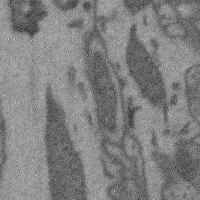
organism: Mouse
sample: Cerebral cortex